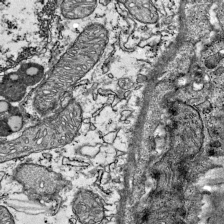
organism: Mouse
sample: Visual Cortex